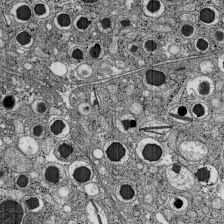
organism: C57BL Mouse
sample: Pancreatic islet